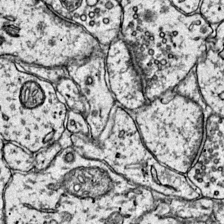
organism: Mouse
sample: Primary visual cortex